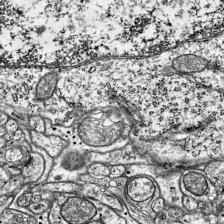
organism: Mouse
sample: Visual Cortex